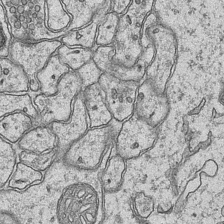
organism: Mouse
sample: CA1 Hippocampus